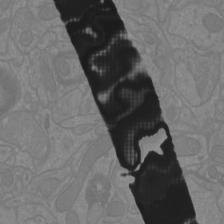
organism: Mouse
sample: Cortical neurons